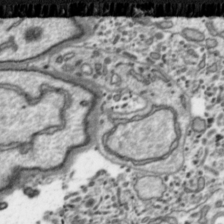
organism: Toxoplasma gondii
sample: Parasites in a vacuole inside a host cell